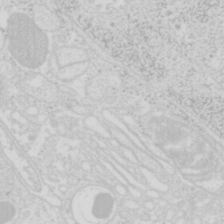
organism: Mouse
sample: Pancreas